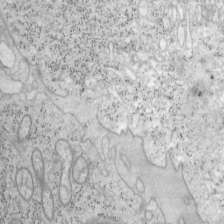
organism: Mouse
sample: OT-I killer T cells with ID8 ovarian cancer cells